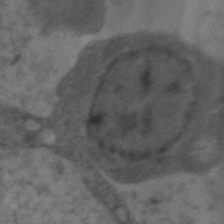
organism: Zebrafish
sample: Zebrafish embryo